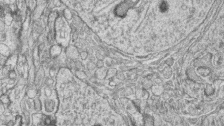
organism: Zebrafish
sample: synaptic ribbons in rod cells and cone cells